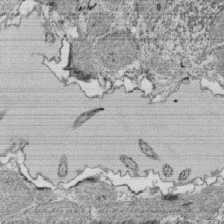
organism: Tetrahymena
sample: Cilia in tetrahymena